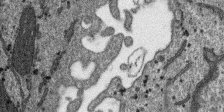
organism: Human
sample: Lung epithelial cells infected with SARS-CoV-2